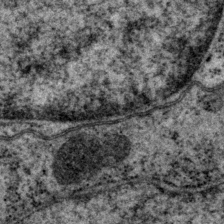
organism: P. pacificus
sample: Pharynx